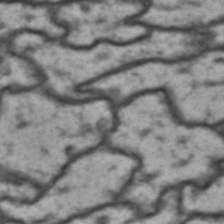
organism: Drosophila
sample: Brain